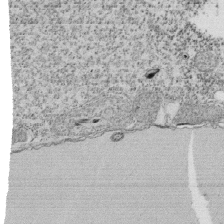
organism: Tetrahymena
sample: Cilia in tetrahymena